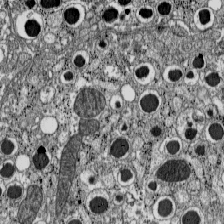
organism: C57BL Mouse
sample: Pancreatic islet